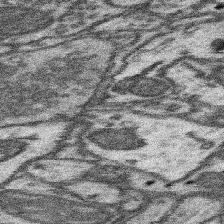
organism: Mouse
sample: Somatosensory cortex neuropil